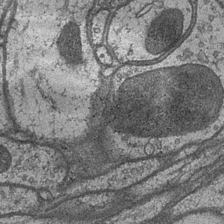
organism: Drosophila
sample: Optic medulla